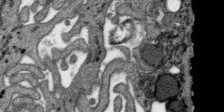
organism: Human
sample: Lung epithelial cells, uninfected (mock) control